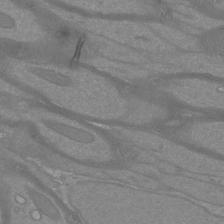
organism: Mouse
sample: Cortical neurons